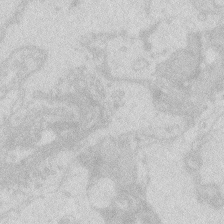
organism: Zebrafish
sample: Macrophage